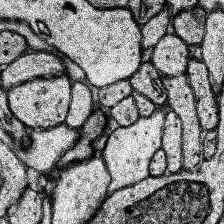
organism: Human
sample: Temporal Lobe